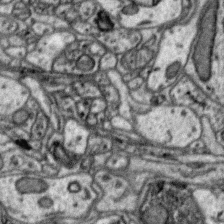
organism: Zebra finch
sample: Brain